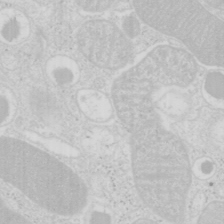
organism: Mouse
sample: Pancreas